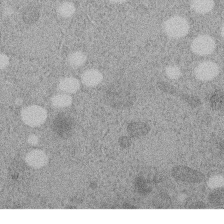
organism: C. elegans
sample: C. elegans embryo early stage